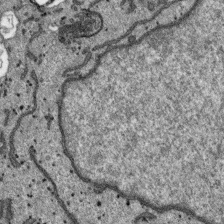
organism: Human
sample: Lung epithelial cells, uninfected (mock) control